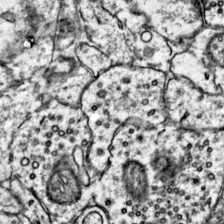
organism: Mouse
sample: Primary visual cortex